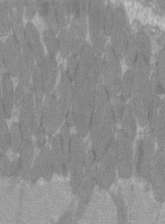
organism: C57BL Mouse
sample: Tibialis anterior muscle cell